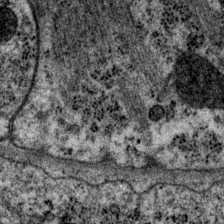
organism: P. pacificus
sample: Pharynx